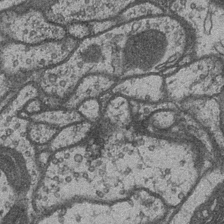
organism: Drosophila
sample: Optic medulla